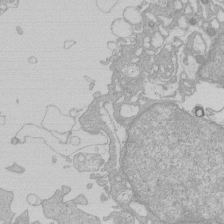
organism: Human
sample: Macrophage cells